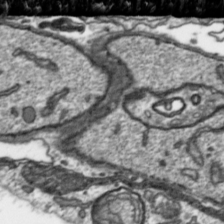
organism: Toxoplasma gondii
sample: Parasites in a vacuole inside a host cell